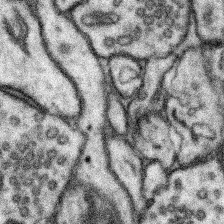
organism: Mouse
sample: Somatosensory cortex neuropil